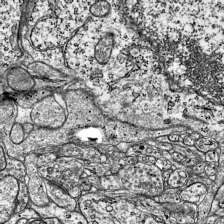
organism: Mouse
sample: Visual Cortex